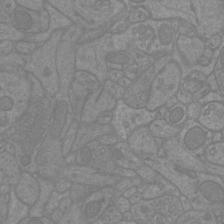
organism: Mouse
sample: Cortical neurons